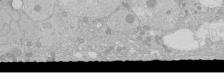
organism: Human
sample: Caco-2 cells